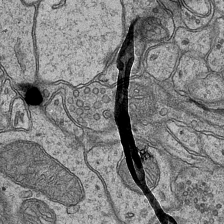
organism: Mouse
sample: CA1 Hippocampus